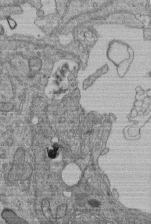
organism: Human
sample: Retinal organoid Rod and Cone cells